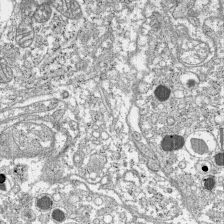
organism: C57BL Mouse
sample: Pancreatic islet